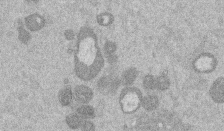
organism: Mouse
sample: Dividing mouse embryo 1 cell stage